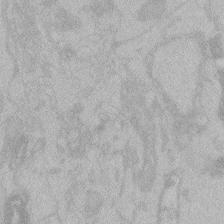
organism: Zebrafish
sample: Macrophage infected with Toxoplasma gondii